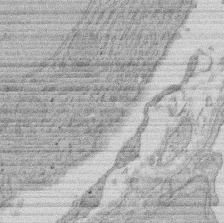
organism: Rat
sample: Salivary granule